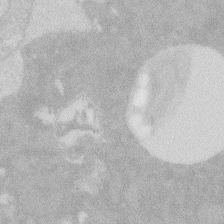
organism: Zebrafish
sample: Macrophage